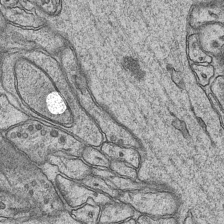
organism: Mouse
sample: CA1 Hippocampus